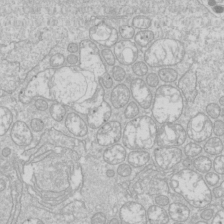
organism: Drosophila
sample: Cell division; meiosis; drosophila spermatocytes